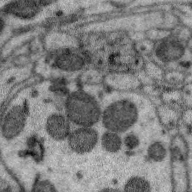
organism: Zebra finch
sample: Brain